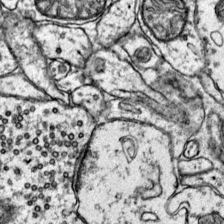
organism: Mouse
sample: Primary visual cortex